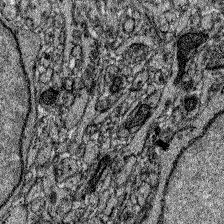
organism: Zebrafish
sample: Larval olfactory bulb